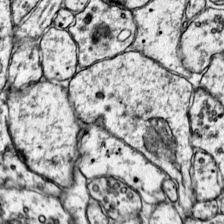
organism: Mouse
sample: Primary visual cortex